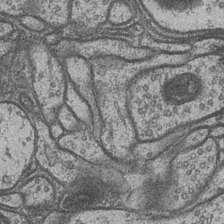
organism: Drosophila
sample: Optic medulla